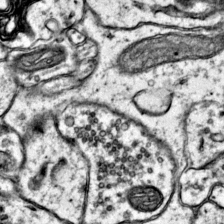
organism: Mouse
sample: Primary visual cortex